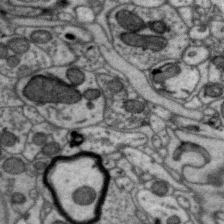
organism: Zebra finch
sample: Brain